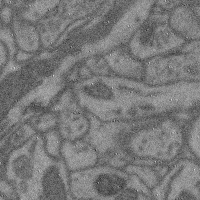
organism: Mouse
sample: Cerebral cortex